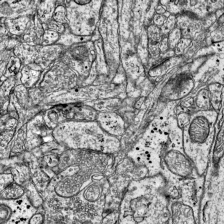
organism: Mouse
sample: Visual Cortex